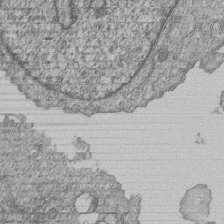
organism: Human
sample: MDA-MB-231 cells